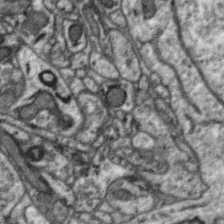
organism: Zebra finch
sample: Brain